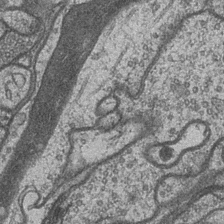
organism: Drosophila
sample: Optic medulla